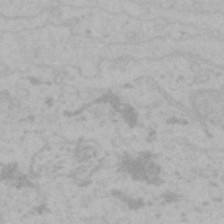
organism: Mouse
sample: Choroid plexus